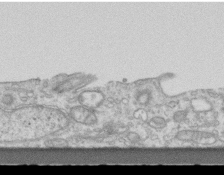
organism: Mouse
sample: Centriole in ependymal cells